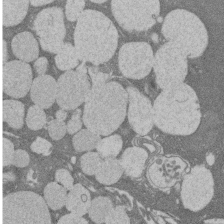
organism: Rat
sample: Salivary granule